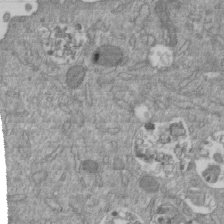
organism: Mouse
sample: ED-1 cell nuclei; centrioles